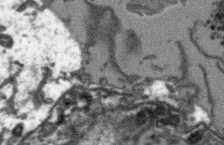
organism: Arabidopsis thaliana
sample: Root tip